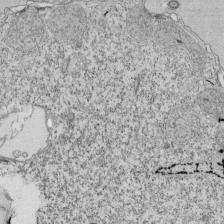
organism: Tetrahymena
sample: Cilia in tetrahymena